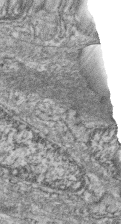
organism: Zebrafish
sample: Cilia; retinal pigment epithelium